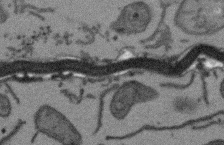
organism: Arabidopsis thaliana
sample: Root tip